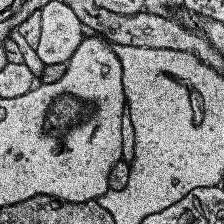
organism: Human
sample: Temporal Lobe